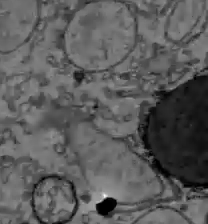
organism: C57BL Mouse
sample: Liver